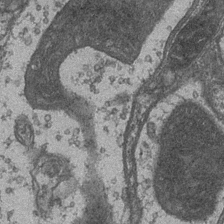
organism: Drosophila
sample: Optic medulla